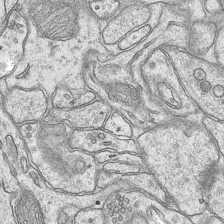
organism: Mouse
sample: CA1 Hippocampus